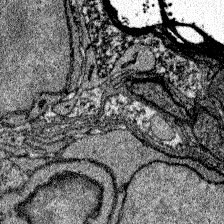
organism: Zebrafish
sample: Larval olfactory bulb